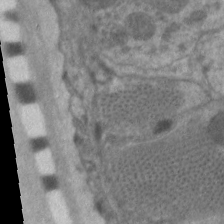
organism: C. elegans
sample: Pharynx